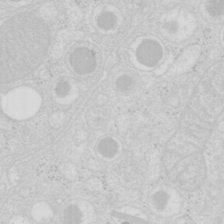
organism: Mouse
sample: Pancreas